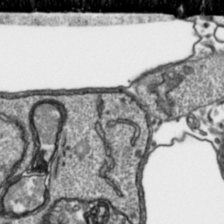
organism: Toxoplasma gondii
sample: Parasites in a vacuole inside a host cell